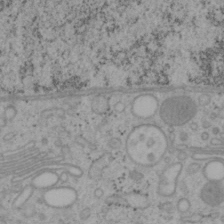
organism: Human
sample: HeLa cells